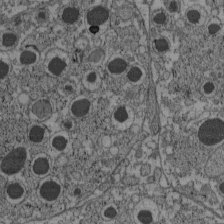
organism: C57BL Mouse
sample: Pancreatic islet